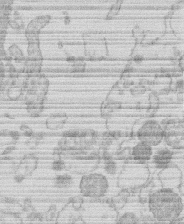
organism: Human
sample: Macrophage cells